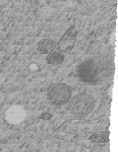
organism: C. elegans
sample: C. elegans embryo early stage